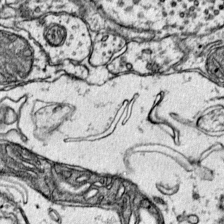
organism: Mouse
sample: Primary visual cortex